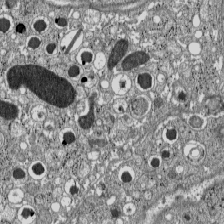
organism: C57BL Mouse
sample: Pancreatic islet